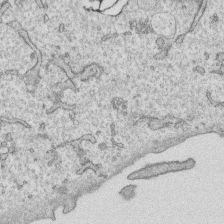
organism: Human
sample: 1205lu cells